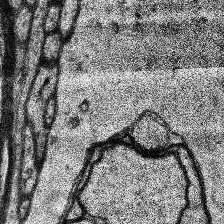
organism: Human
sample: Temporal Lobe